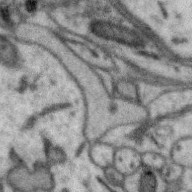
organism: Zebra finch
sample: Brain